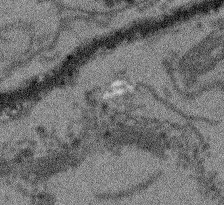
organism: Arabidopsis thaliana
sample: Root tip